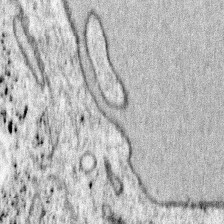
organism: Human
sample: HeLa cells